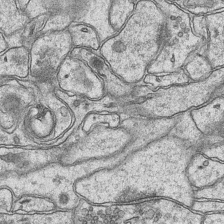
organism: Mouse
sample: CA1 Hippocampus